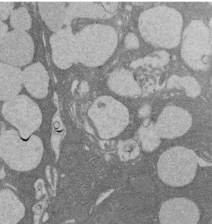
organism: Rat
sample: Salivary granule